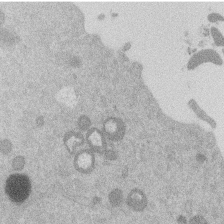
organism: Mouse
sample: Dividing mouse embryo 1 cell stage